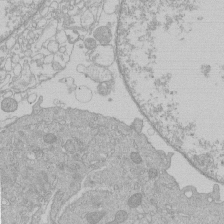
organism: Human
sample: Macrophage cells